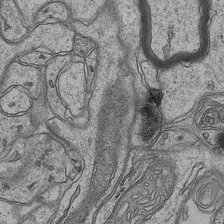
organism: Mouse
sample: CA1 Hippocampus